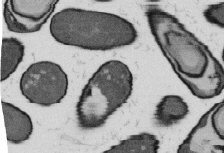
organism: B. subtilis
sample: Bacterial spore